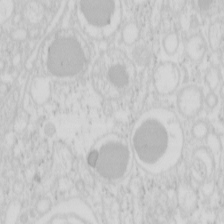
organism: Mouse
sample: Pancreas